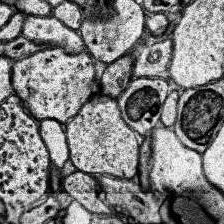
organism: Human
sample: Temporal Lobe